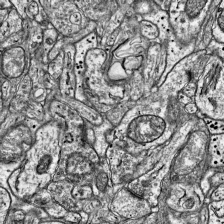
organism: Mouse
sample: Visual Cortex